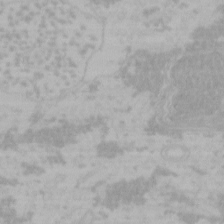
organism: Mouse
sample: Choroid plexus